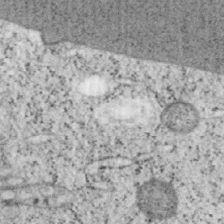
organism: Mouse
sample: OT-I killer T cells with ID8 ovarian cancer cells